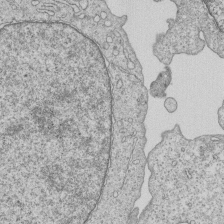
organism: Human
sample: MDA-MB-231 cells